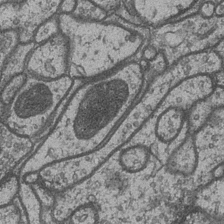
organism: Drosophila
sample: Optic medulla